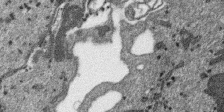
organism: Human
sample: Lung epithelial cells infected with SARS-CoV-2